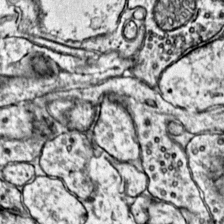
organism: Mouse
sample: Primary visual cortex